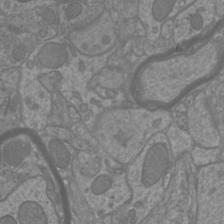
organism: Mouse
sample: Cortical neurons